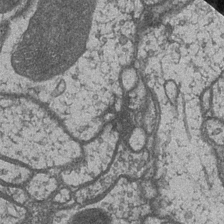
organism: Drosophila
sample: Optic medulla